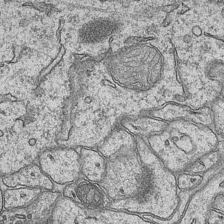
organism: Mouse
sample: CA1 Hippocampus